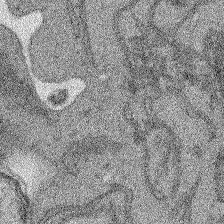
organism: Human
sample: HeLa cells